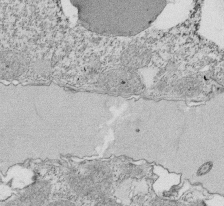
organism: Tetrahymena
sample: Cilia in tetrahymena